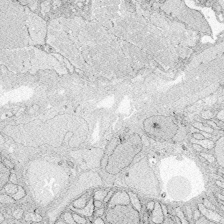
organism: Zebrafish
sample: Whole-Brain